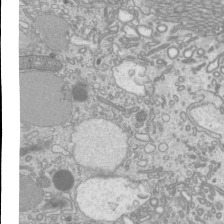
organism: Mouse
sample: Cilia; mouse epididymis